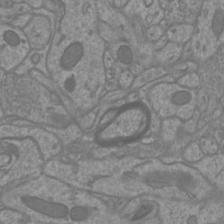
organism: Mouse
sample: Cortical neurons